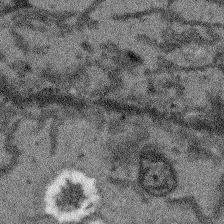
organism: Arabidopsis thaliana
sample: Root tip